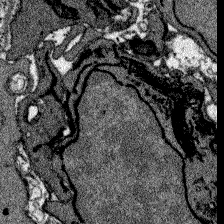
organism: Zebrafish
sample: Larval olfactory bulb